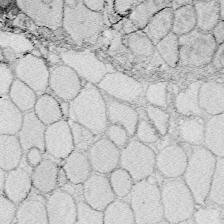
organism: Zebrafish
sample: Whole-Brain